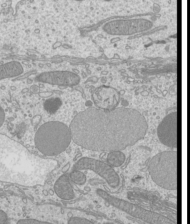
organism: Mouse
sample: Cilia; mouse epididymis